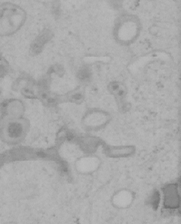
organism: Mouse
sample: OT-I killer T cells with ID8 ovarian cancer cells